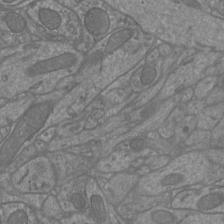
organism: Mouse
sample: Cortical neurons